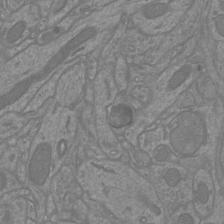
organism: Mouse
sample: Cortical neurons